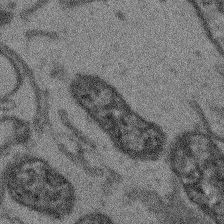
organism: Arabidopsis thaliana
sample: Root tip